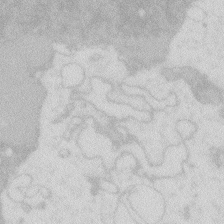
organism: Zebrafish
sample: Macrophage